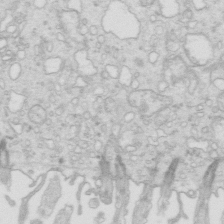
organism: Mouse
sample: Multiciliated cells